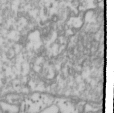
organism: Drosophila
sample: Cell division; meiosis; drosophila spermatocytes